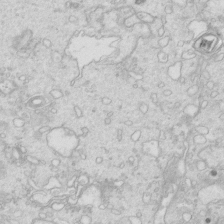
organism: Mouse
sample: Multiciliated cells